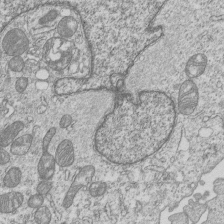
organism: Human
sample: MDA-MB-231 cells